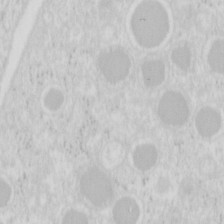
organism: Mouse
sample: Pancreas